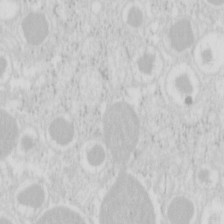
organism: Mouse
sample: Pancreas